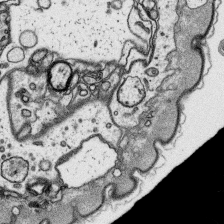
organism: Platynereis dumerilii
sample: Parapodia